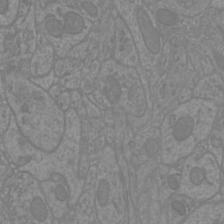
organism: Mouse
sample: Cortical neurons